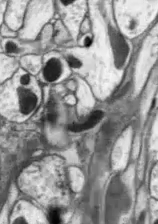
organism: Drosophila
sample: Optic lobe